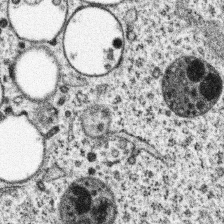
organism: Human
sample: HeLa cells